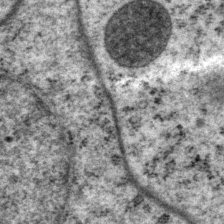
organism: P. pacificus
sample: Pharynx